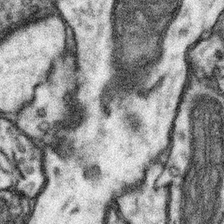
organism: Mouse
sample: Somatosensory cortex neuropil